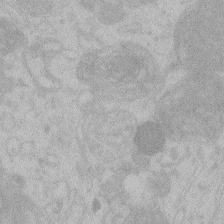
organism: Zebrafish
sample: Macrophage infected with Toxoplasma gondii